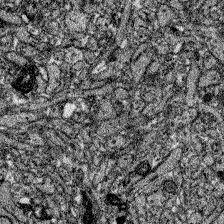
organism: Zebrafish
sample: Larval olfactory bulb